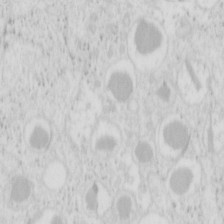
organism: Mouse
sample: Pancreas